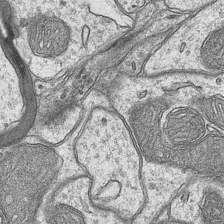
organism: Mouse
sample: CA1 Hippocampus